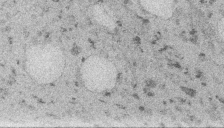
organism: Embia sp.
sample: Silk gland